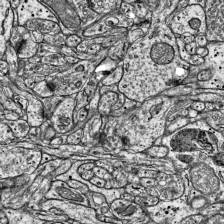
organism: Mouse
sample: Visual Cortex